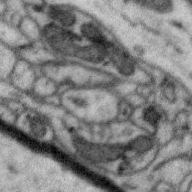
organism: Zebra finch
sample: Brain